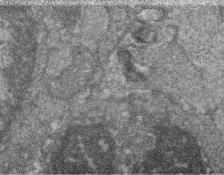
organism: Zebrafish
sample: Cilia; retinal pigment epithelium